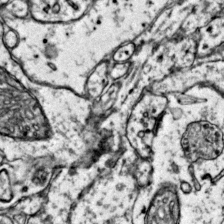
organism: Mouse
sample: Primary visual cortex